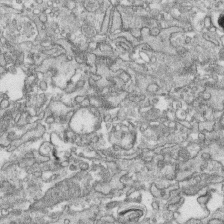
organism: Human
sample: CRL-1474